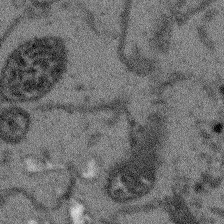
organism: Arabidopsis thaliana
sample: Root tip